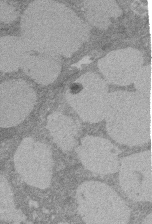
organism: Rat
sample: Salivary granule